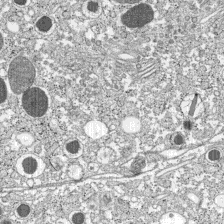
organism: C57BL Mouse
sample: Pancreatic islet